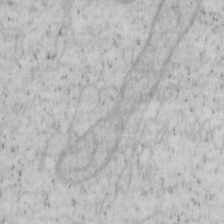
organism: Human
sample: HeLa cells